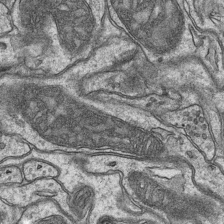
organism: Mouse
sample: CA1 Hippocampus